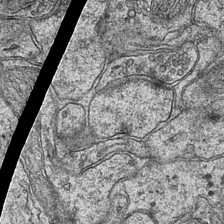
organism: Mouse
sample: CA1 Hippocampus